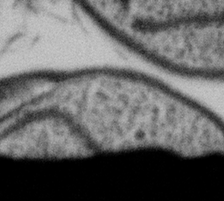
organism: Gemmata obscuriglobus